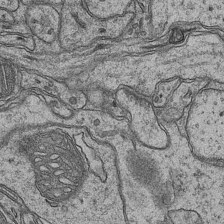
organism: Mouse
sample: CA1 Hippocampus